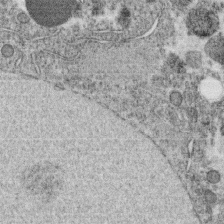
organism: C. elegans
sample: C. elegans oocyte; sperm cells